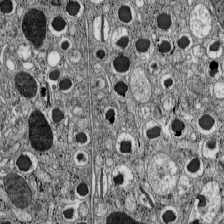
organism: C57BL Mouse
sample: Pancreatic islet